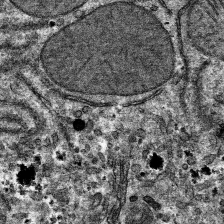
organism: Mouse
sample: Mouse hepatocytes